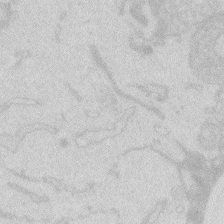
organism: Zebrafish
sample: Macrophage